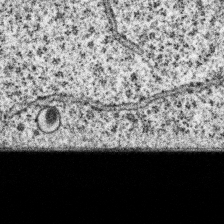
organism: Human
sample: HeLa cells